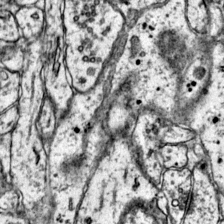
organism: Mouse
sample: Primary visual cortex